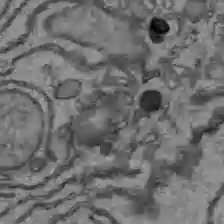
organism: C57BL Mouse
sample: Liver